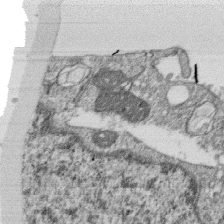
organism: African green monkey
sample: Vero E6 cells infected with SARS-CoV-2